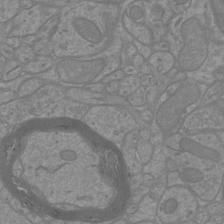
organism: Mouse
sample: Cortical neurons